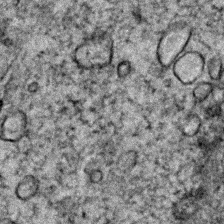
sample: Trachea